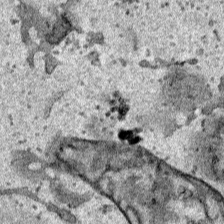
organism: Human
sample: Mitochondria in HCT116 cells